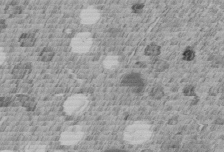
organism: C. elegans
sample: C. elegans embryo early stage